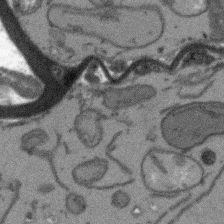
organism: Arabidopsis thaliana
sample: Root tip